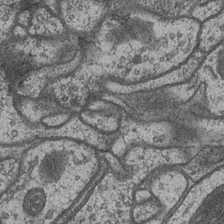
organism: Drosophila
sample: Optic medulla